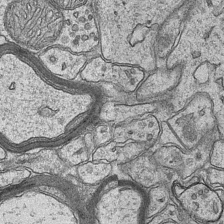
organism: Mouse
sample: CA1 Hippocampus